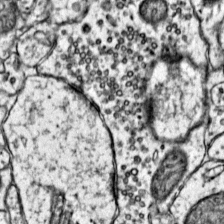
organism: Mouse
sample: Primary visual cortex